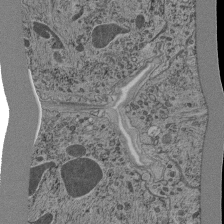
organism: C. elegans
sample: C. elegans pharynx